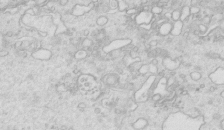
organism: Mouse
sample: Multiciliated cells